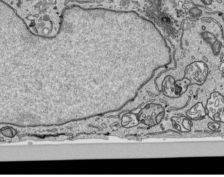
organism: Human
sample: Mitochondria in HCT116 cells